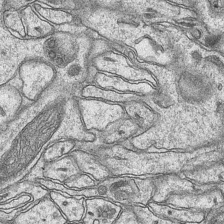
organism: Mouse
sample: CA1 Hippocampus